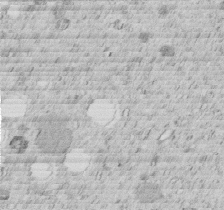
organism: C. elegans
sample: C. elegans embryo early stage